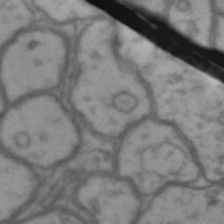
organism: Drosophila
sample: Brain